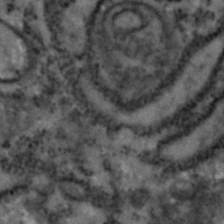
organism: Zebrafish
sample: Zebrafish embryo